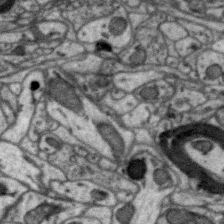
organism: Zebra finch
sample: Brain